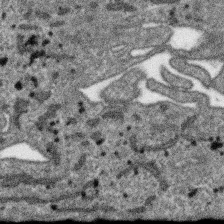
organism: Human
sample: Lung epithelial cells infected with SARS-CoV-2